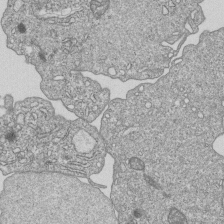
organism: Human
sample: MDA-MB-231 cells